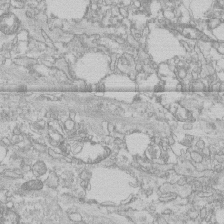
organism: Human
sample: CRL-1474